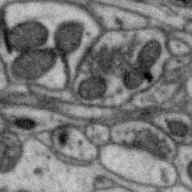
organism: Zebra finch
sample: Brain